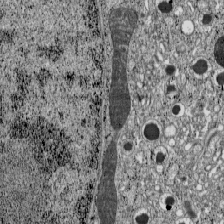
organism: C57BL Mouse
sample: Pancreatic islet